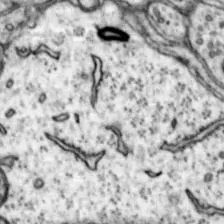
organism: Mouse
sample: Nucleus accumbens